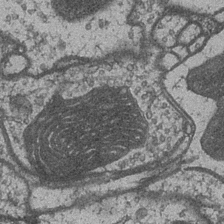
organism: Drosophila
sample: Optic medulla